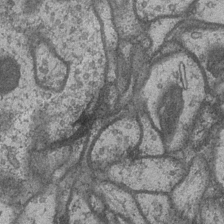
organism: Drosophila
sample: Optic medulla